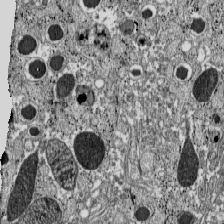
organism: C57BL Mouse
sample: Pancreatic islet